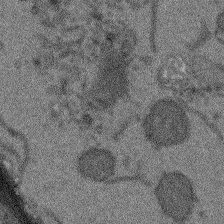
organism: Arabidopsis thaliana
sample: Root tip